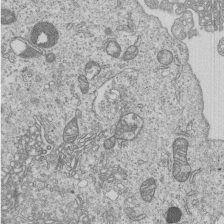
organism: Human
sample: MDA-MB-231 cells